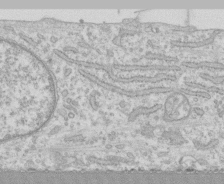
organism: Human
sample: CRL-1474